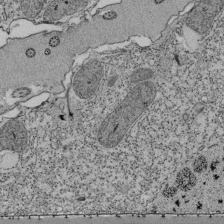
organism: Tetrahymena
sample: Cilia in tetrahymena